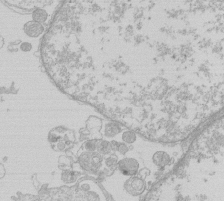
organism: Human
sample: Macrophage cells